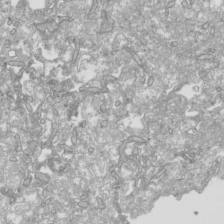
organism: Human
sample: Mitochondria in HCT116 cells